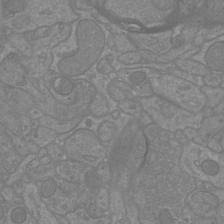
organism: Mouse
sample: Cortical neurons